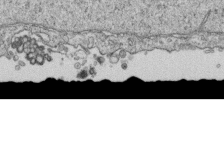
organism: Human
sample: HeLa cell HIV synapse